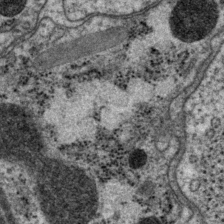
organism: P. pacificus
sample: Pharynx